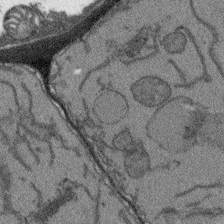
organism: Arabidopsis thaliana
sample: Root tip